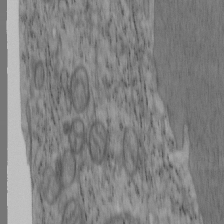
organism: Human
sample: HeLa cells